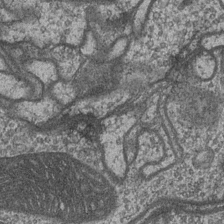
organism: Drosophila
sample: Optic medulla